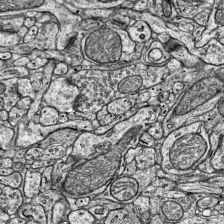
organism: Mouse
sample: Visual Cortex